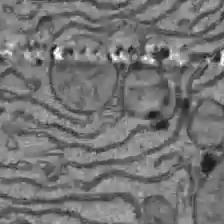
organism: C57BL Mouse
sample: Liver